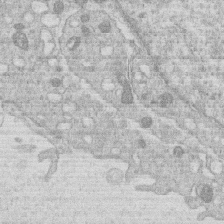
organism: Human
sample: Macrophage cells